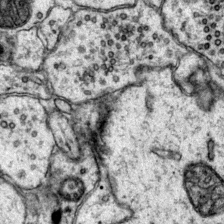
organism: Mouse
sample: Primary visual cortex